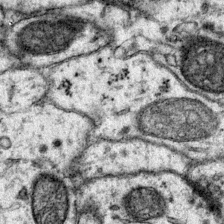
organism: Mouse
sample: Primary visual cortex